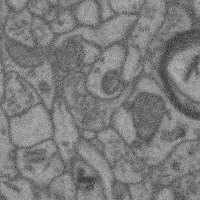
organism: Mouse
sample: Cerebral cortex